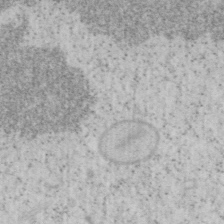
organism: Human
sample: HeLa cells